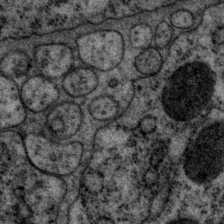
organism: P. pacificus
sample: Pharynx